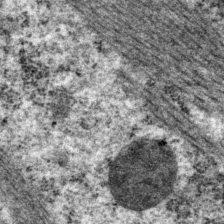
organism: P. pacificus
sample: Pharynx